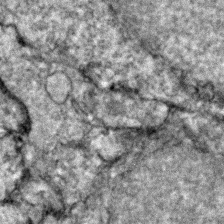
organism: Zebrafish